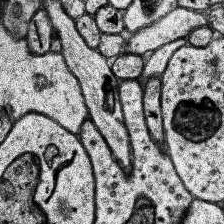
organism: Human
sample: Temporal Lobe